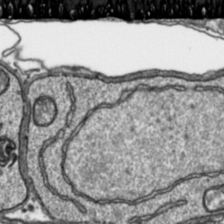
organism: Toxoplasma gondii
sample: Parasites in a vacuole inside a host cell